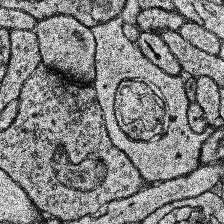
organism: Human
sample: Temporal Lobe